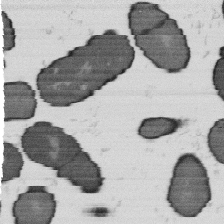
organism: B. subtilis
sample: Bacterial spore